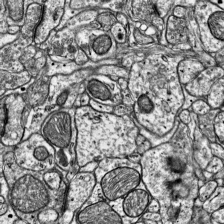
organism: Mouse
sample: Visual Cortex